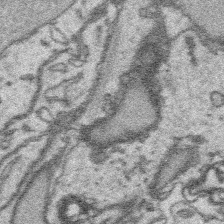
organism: Platynereis dumerilii